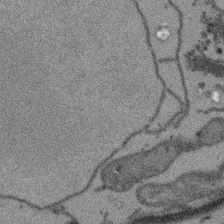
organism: Arabidopsis thaliana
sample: Root tip